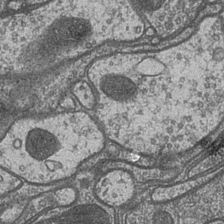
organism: Drosophila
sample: Optic medulla